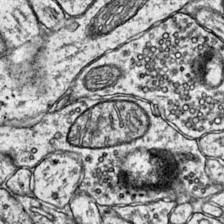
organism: Mouse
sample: Primary visual cortex